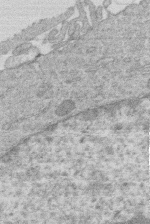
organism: Human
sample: Macrophage cells